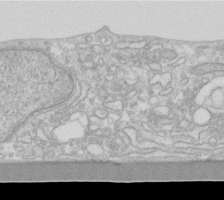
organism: Human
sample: Fibroblast cells